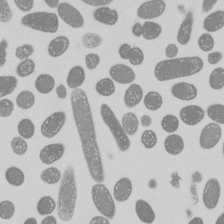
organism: E. coli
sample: Bacterial nucleoid